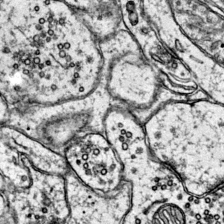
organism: Mouse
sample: Primary visual cortex